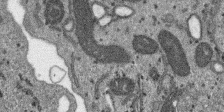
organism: Human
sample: Lung epithelial cells infected with SARS-CoV-2